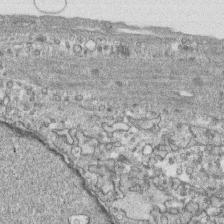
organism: Human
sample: CRL-1474